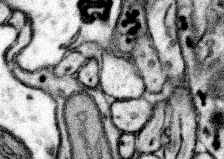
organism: Mouse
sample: Somatosensory cortex neuropil